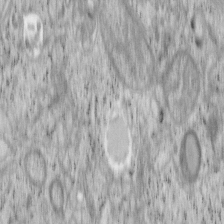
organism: Human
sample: HeLa cells